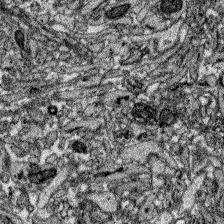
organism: Zebrafish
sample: Larval olfactory bulb